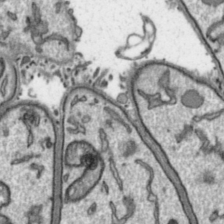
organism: Toxoplasma gondii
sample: Parasites in a vacuole inside a host cell